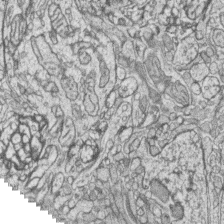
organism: Zebrafish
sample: synaptic ribbons in rod cells and cone cells